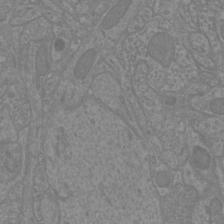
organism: Mouse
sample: Cortical neurons